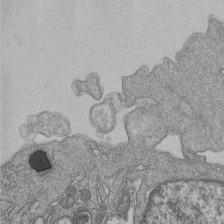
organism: Human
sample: MDA-MB-231 cells